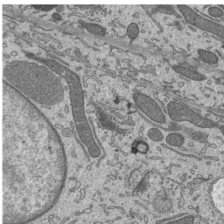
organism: Mouse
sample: Mouse epididymis efferent ductule cilia